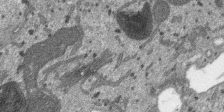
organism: Human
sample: Lung epithelial cells infected with SARS-CoV-2